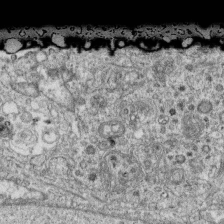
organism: Human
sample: HeLa cell HIV synapse